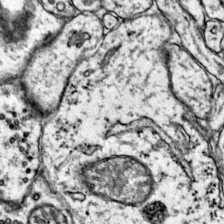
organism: Mouse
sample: Primary visual cortex